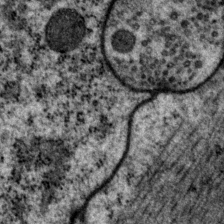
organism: P. pacificus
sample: Pharynx